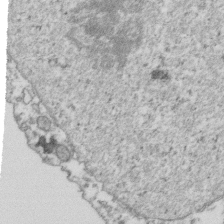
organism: Human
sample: Activated Jurkat CD4+ T cells